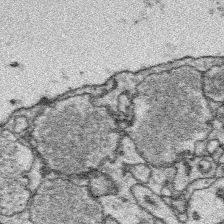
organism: Platynereis dumerilii